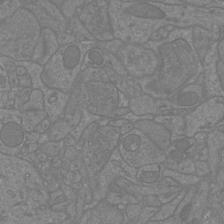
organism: Mouse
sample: Cortical neurons